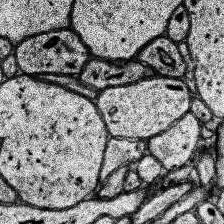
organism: Human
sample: Temporal Lobe